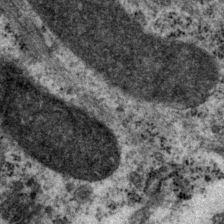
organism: P. pacificus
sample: Pharynx